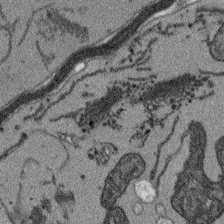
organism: Arabidopsis thaliana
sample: Root tip